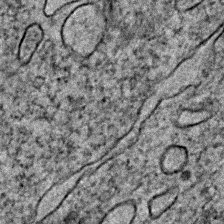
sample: Trachea